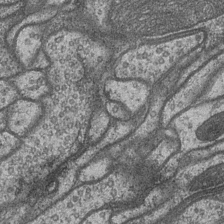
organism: Drosophila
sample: Optic medulla